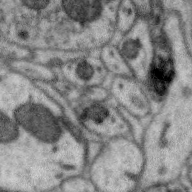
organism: Zebra finch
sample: Brain